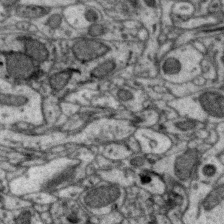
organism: Zebra finch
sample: Brain